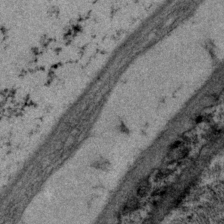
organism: P. pacificus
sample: Pharynx